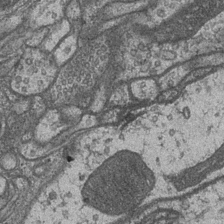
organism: Drosophila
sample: Optic medulla